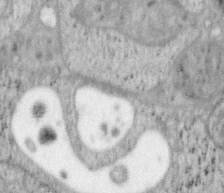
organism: Mouse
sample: OT-I killer T cells with ID8 ovarian cancer cells